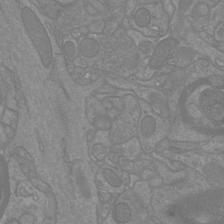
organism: Mouse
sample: Cortical neurons